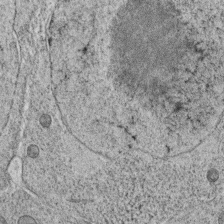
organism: C. elegans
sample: C. elegans oocyte; sperm cells